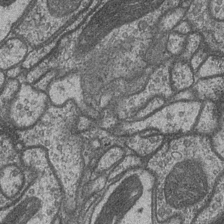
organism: Drosophila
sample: Optic medulla